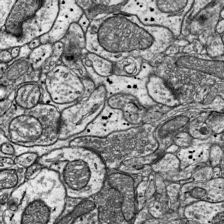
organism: Mouse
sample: Visual Cortex